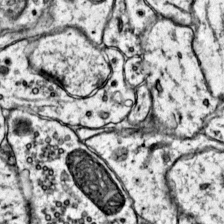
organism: Mouse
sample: Primary visual cortex